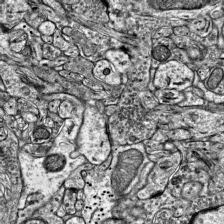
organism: Mouse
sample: Visual Cortex